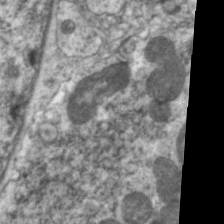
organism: C. elegans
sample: Pharynx